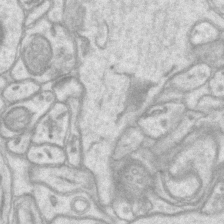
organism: Mouse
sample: CA1 Hippocampus